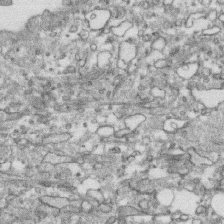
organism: Human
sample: CRL-1474